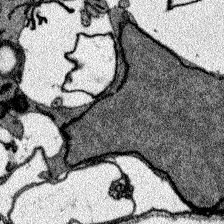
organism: Zebrafish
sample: Larval olfactory bulb